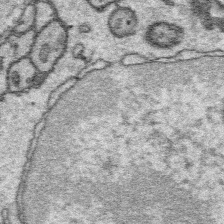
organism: Platynereis dumerilii